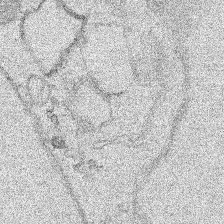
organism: Human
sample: Mitochondria in HCT116 cells